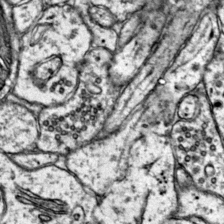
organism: Mouse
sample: Primary visual cortex